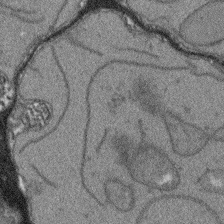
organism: Arabidopsis thaliana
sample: Root tip